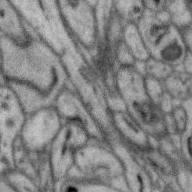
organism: Zebra finch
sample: Brain